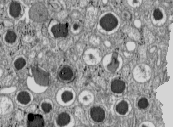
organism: C57BL Mouse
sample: Pancreatic islet